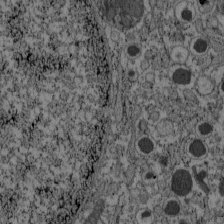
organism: C57BL Mouse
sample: Pancreatic islet